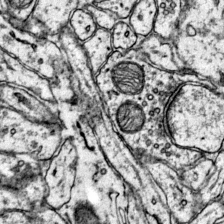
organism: Mouse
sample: Primary visual cortex